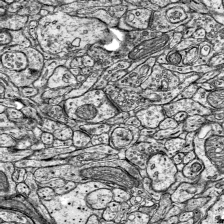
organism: Mouse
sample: Visual Cortex